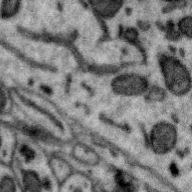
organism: Zebra finch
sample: Brain